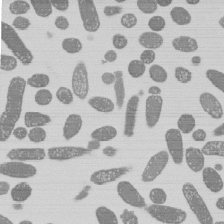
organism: E. coli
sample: Bacterial nucleoid